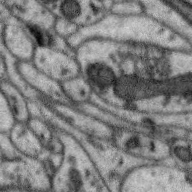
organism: Zebra finch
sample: Brain